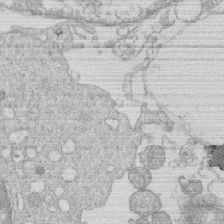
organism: Human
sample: Macrophage cells